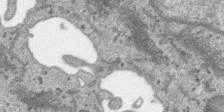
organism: Human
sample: Lung epithelial cells infected with SARS-CoV-2